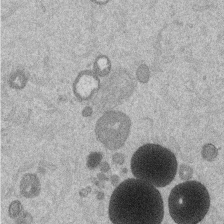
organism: Mouse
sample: Dividing mouse embryo 1 cell stage